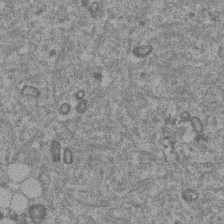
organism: Mouse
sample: Dividing mouse embryo 1 cell stage